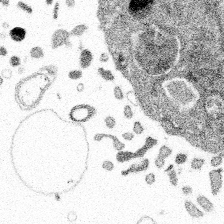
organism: Spongilla lacustris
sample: Multiple